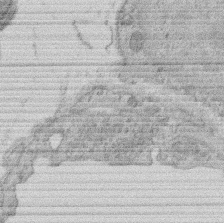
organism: Rat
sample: Salivary granule